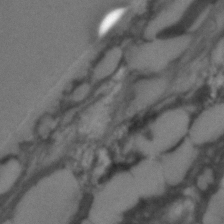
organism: C. elegans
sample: C. elegans embryo